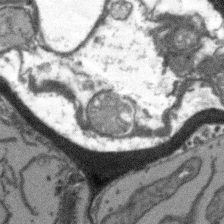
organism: Arabidopsis thaliana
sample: Root tip